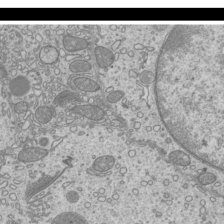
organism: Mouse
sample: Cilia; mouse epididymis